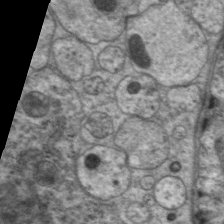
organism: C. elegans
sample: Pharynx